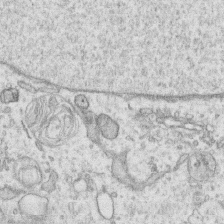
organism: Human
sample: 1205lu cells